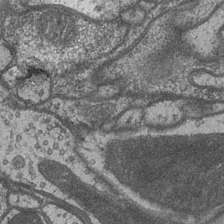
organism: Drosophila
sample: Optic medulla